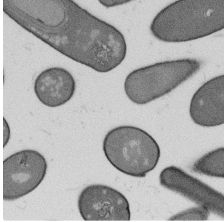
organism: B. subtilis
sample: Bacterial spore